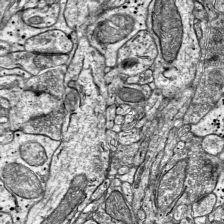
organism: Mouse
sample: Visual Cortex